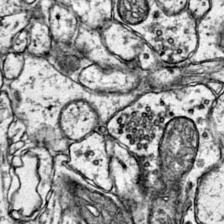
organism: Mouse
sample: Primary visual cortex